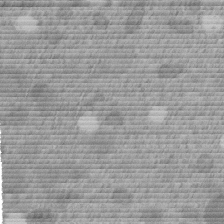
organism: C. elegans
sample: C. elegans embryo early stage